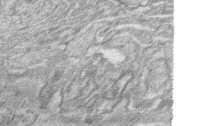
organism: Zebrafish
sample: synaptic ribbons in rod cells and cone cells